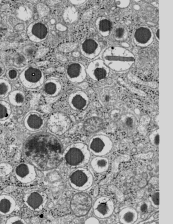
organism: C57BL Mouse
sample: Pancreatic islet